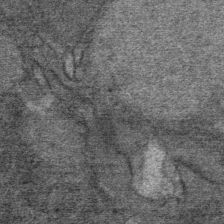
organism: Mouse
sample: Mouse Salivary gland